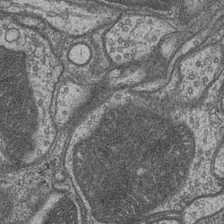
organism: Drosophila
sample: Optic medulla